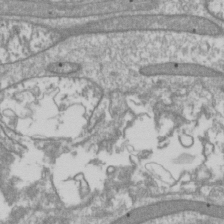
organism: Drosophila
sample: Cell division; meiosis; drosophila spermatocytes